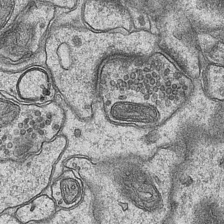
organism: Mouse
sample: CA1 Hippocampus